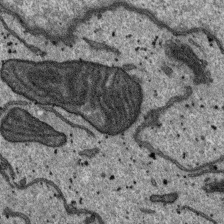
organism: Human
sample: Lung epithelial cells, uninfected (mock) control